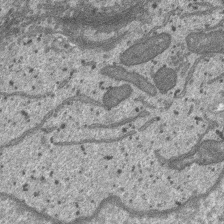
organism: Human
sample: Lung epithelial cells infected with SARS-CoV-2